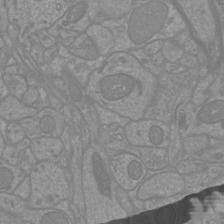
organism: Mouse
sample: Cortical neurons